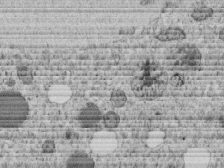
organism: C. elegans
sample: C. elegans embryo early stage